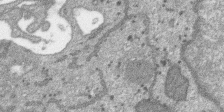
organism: Human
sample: Lung epithelial cells infected with SARS-CoV-2